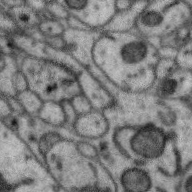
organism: Zebra finch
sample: Brain